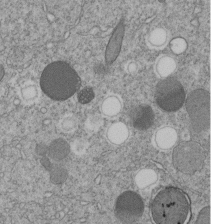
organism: C. elegans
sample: C. elegans embryo early stage